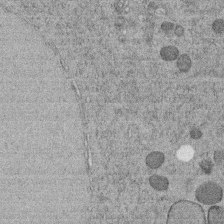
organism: C. elegans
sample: C. elegans embryo early stage